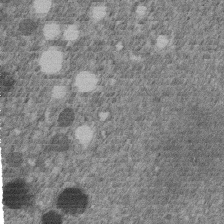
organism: C. elegans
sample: C. elegans embryo early stage